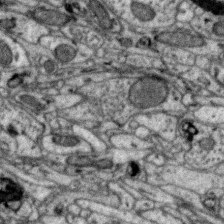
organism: Zebra finch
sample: Brain